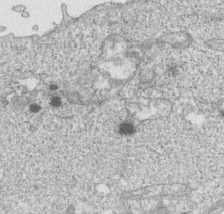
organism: Human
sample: HeLa cell HIV synapse